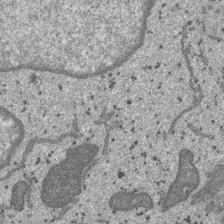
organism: Human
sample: Lung epithelial cells infected with SARS-CoV-2